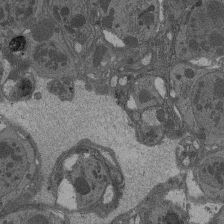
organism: Drosophila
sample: Antenna